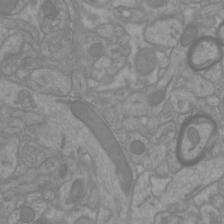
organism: Mouse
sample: Cortical neurons